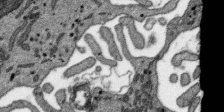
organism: Human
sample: Lung epithelial cells, uninfected (mock) control